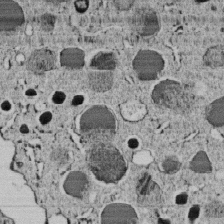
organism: C. elegans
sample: C. elegans embryo early stage